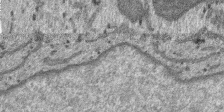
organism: Human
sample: Lung epithelial cells infected with SARS-CoV-2